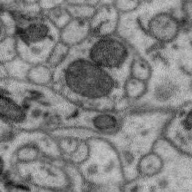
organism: Zebra finch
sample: Brain